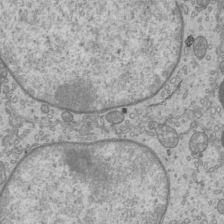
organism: Mouse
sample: Cilia; mouse epididymis